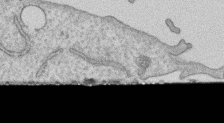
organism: Human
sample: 1205lu cells